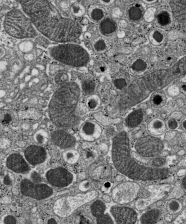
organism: C57BL Mouse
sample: Pancreatic islet